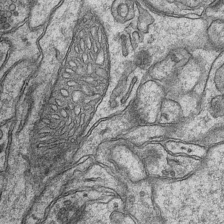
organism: Mouse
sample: CA1 Hippocampus